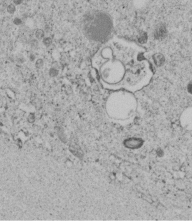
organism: C. elegans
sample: C. elegans embryo early stage